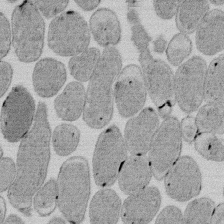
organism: E. coli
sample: Bacterial nucleoid